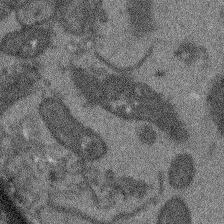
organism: Arabidopsis thaliana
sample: Root tip